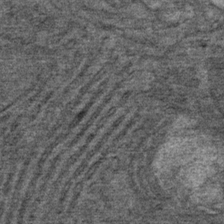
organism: Mouse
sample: Mouse Salivary gland